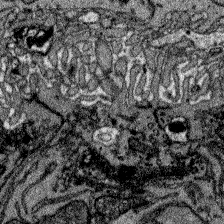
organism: Zebrafish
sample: Larval olfactory bulb